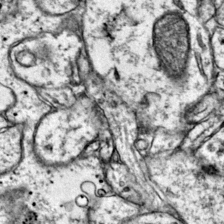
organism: Mouse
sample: Primary visual cortex